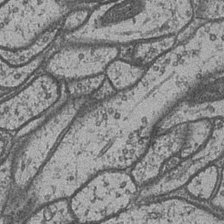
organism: Drosophila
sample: Optic medulla